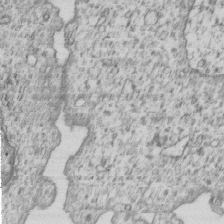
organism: Human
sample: MDA-MB-231 cells